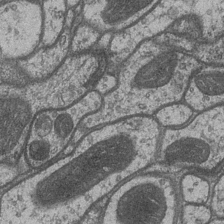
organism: Drosophila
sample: Optic medulla